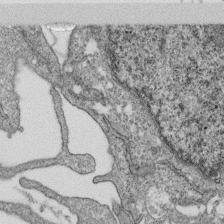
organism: African green monkey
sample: Vero E6 cells infected with SARS-CoV-2